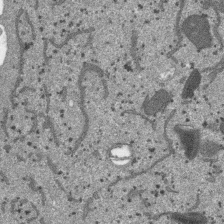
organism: Human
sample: Lung epithelial cells infected with SARS-CoV-2